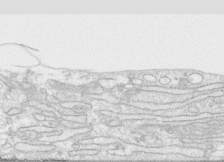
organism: Human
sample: CRL-1474